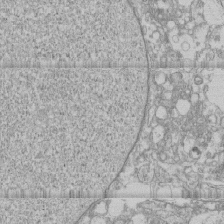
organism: Human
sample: CRL-1474